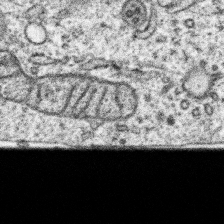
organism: Human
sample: HeLa cells